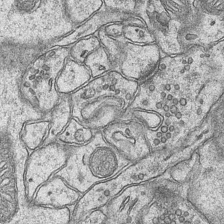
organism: Mouse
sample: CA1 Hippocampus